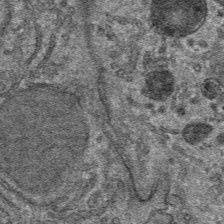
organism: Mouse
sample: Mouse hepatocytes